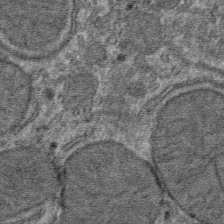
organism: Mouse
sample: Mouse hepatocytes